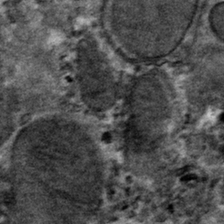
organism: Mouse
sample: Mouse hepatocytes